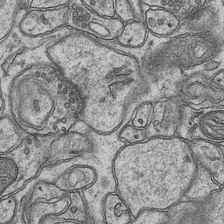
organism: Mouse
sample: CA1 Hippocampus